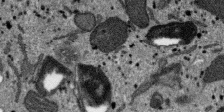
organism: Human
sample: Lung epithelial cells, uninfected (mock) control